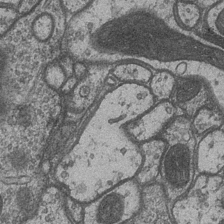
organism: Drosophila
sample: Optic medulla